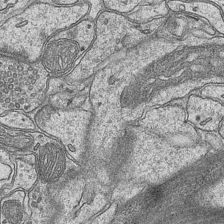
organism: Mouse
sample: CA1 Hippocampus